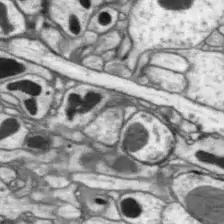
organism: Drosophila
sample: Optic lobe